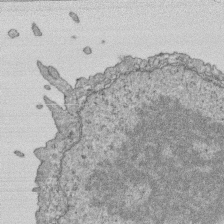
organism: Human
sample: HeLa cell HIV synapse